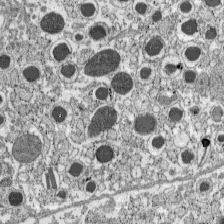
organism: C57BL Mouse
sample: Pancreatic islet